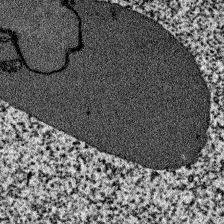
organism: Zebrafish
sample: Larval olfactory bulb